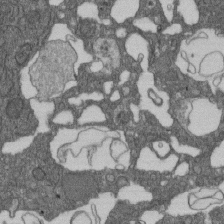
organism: Drosophila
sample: Nephrocyte